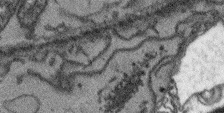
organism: Arabidopsis thaliana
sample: Root tip